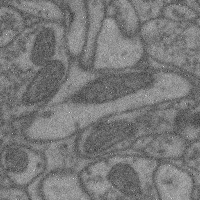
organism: Mouse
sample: Cerebral cortex